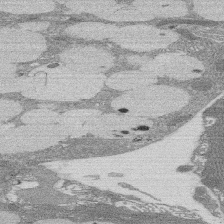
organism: Rat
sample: Salivary granule